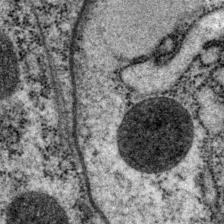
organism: P. pacificus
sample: Pharynx